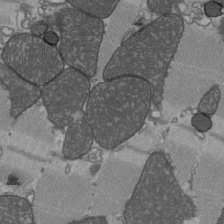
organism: C57BL Mouse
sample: Heart